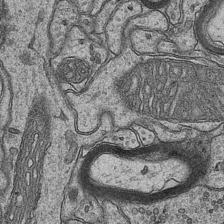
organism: Mouse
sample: CA1 Hippocampus